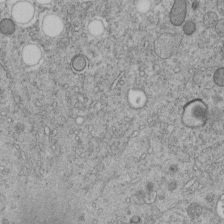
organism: C. elegans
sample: C. elegans embryo early stage